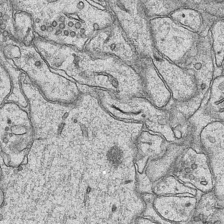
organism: Mouse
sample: CA1 Hippocampus